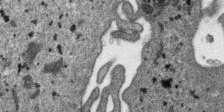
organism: Human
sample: Lung epithelial cells infected with SARS-CoV-2